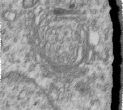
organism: Human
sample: Centriole in RPE cells